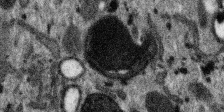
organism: Human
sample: Lung epithelial cells infected with SARS-CoV-2